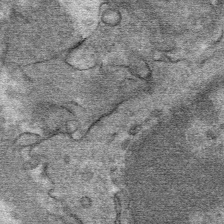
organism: Mouse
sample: Mouse Salivary gland